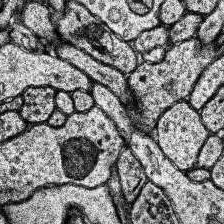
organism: Human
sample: Temporal Lobe